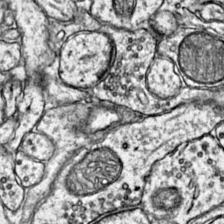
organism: Mouse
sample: Primary visual cortex